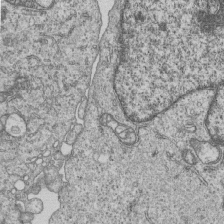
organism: Human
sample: MDA-MB-231 cells